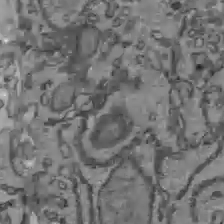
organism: C57BL Mouse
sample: Liver